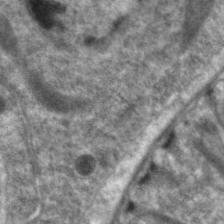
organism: C. elegans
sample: Pharynx